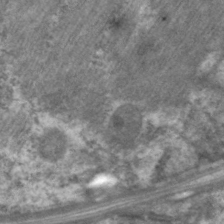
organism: C. elegans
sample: Pharynx